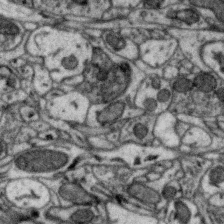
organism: Zebra finch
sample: Brain